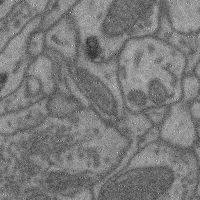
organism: Mouse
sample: Cerebral cortex